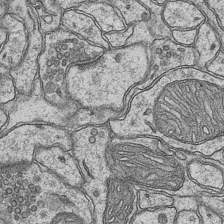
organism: Mouse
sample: CA1 Hippocampus